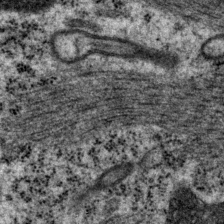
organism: P. pacificus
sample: Pharynx